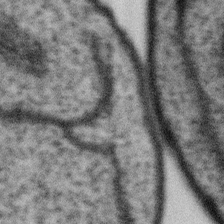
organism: Gemmata obscuriglobus